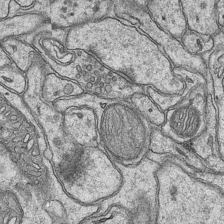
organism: Mouse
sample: CA1 Hippocampus